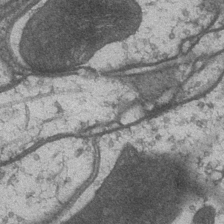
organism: Drosophila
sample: Optic medulla